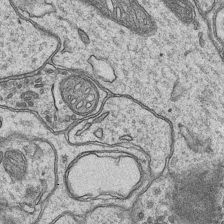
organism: Mouse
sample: CA1 Hippocampus